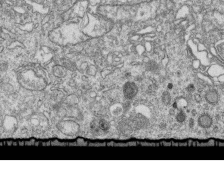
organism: Human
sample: HeLa cell HIV synapse